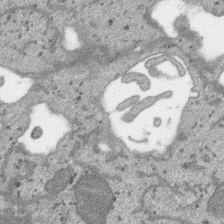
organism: Human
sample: Lung epithelial cells infected with SARS-CoV-2